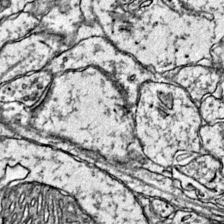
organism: Mouse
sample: Primary visual cortex